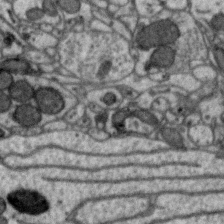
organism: Zebra finch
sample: Brain